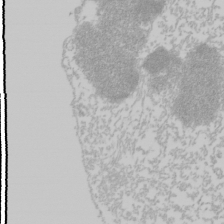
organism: Mouse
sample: Cancer cell death in ED-1 cells